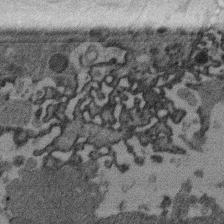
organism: Mouse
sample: Dividing mouse embryo 1 cell stage